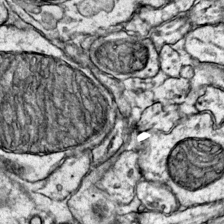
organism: Mouse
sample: Primary visual cortex